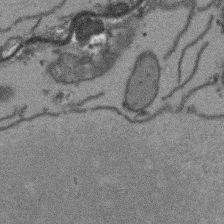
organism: Arabidopsis thaliana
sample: Root tip